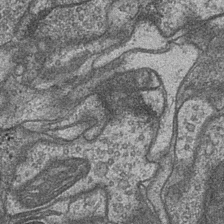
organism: Drosophila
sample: Optic medulla